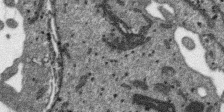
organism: Human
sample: Lung epithelial cells infected with SARS-CoV-2